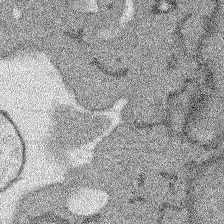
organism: Human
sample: HeLa cells